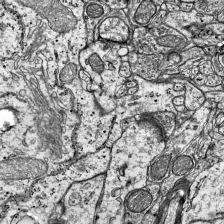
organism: Mouse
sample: Visual Cortex